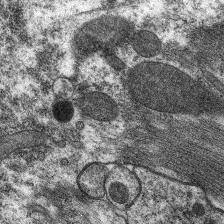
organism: C. elegans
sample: Pharynx